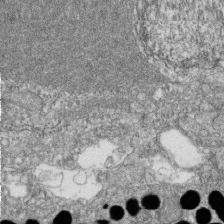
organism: Zebrafish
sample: Cilia; retinal pigment epithelium